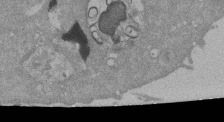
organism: Mouse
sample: ED-1 cell nuclei; centrioles